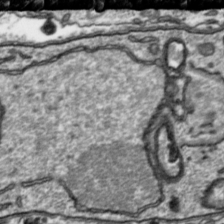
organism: Toxoplasma gondii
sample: Parasites in a vacuole inside a host cell